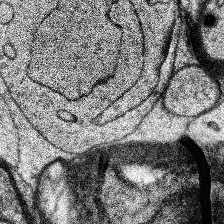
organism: Human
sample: Temporal Lobe